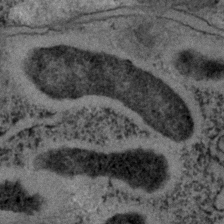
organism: C. elegans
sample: C. elegans embryo